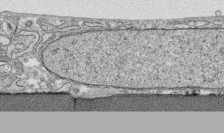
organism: Human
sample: CRL-1474